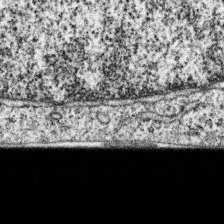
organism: Human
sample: HeLa cells